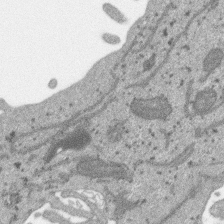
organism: Human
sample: Lung epithelial cells infected with SARS-CoV-2